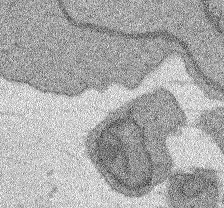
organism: Human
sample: HeLa cells